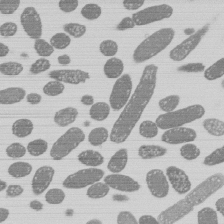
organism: E. coli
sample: Bacterial nucleoid